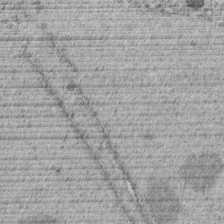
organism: C. elegans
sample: C. elegans embryo early stage